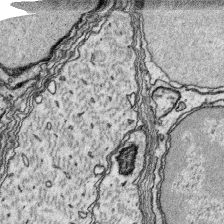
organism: Platynereis dumerilii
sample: Parapodia